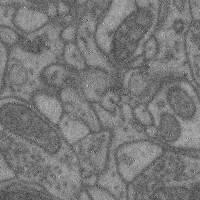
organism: Mouse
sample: Cerebral cortex